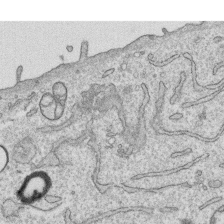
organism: Human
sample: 1205lu cells